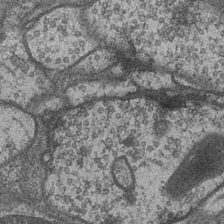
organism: Drosophila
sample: Optic medulla